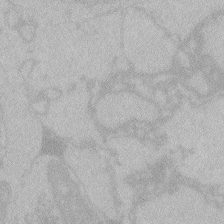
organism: Zebrafish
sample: Macrophage infected with Toxoplasma gondii